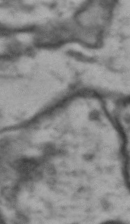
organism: Drosophila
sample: Brain